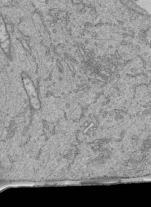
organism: Human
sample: Retinal organoid Rod and Cone cells